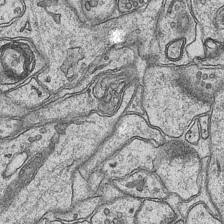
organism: Mouse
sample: CA1 Hippocampus